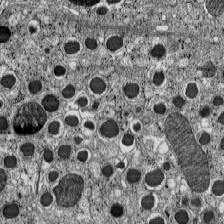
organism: C57BL Mouse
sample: Pancreatic islet